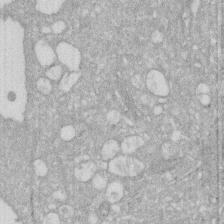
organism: Human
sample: HIV infected U937 cells